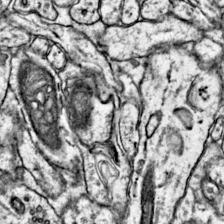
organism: Mouse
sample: Primary visual cortex